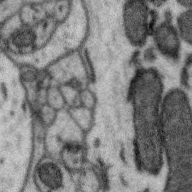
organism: Zebra finch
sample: Brain